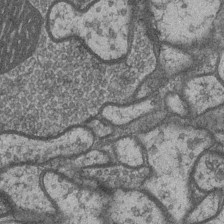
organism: Drosophila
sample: Optic medulla